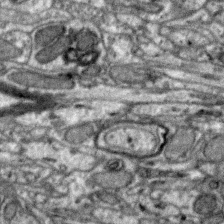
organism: Zebra finch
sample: Brain